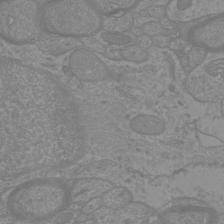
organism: Mouse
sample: Cortical neurons